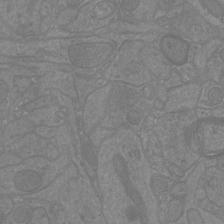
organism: Mouse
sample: Cortical neurons